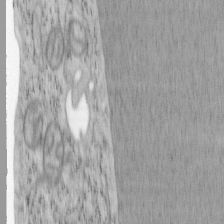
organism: Human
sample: HeLa cells